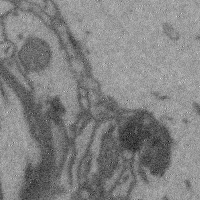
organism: Mouse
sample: Cerebral cortex